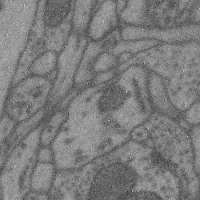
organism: Mouse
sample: Cerebral cortex